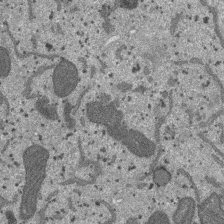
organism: Human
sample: Lung epithelial cells infected with SARS-CoV-2